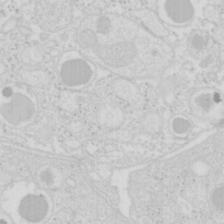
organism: Mouse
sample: Pancreas